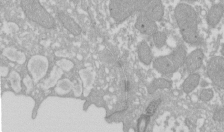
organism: Xenopus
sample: Cilia; centrioles in frog embryo cells